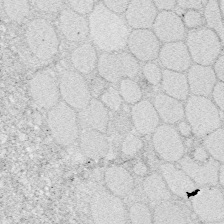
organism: Zebrafish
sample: Whole-Brain